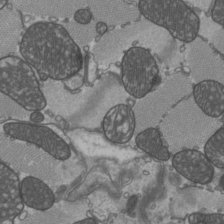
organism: C57BL Mouse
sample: Heart